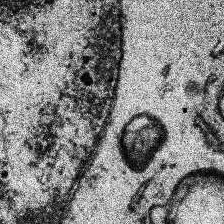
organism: Human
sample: Temporal Lobe